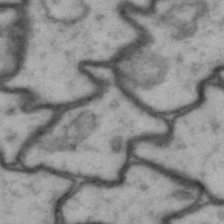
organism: Drosophila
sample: Brain